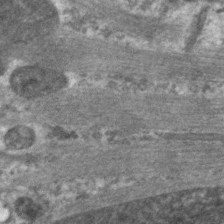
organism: C. elegans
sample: Pharynx